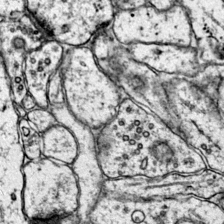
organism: Mouse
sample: Primary visual cortex